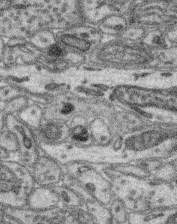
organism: Mouse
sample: Retina